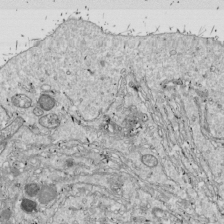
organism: Drosophila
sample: Cell division; meiosis; drosophila spermatocytes